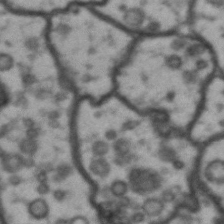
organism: Drosophila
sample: Brain